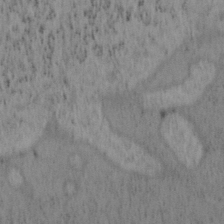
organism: Mouse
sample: OT-I killer T cells with ID8 ovarian cancer cells